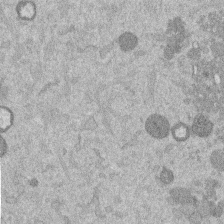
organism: Mouse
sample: Dividing mouse embryo 1 cell stage